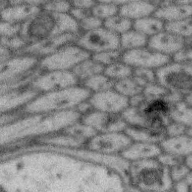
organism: Zebra finch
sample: Brain